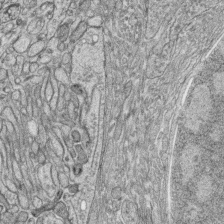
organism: Zebrafish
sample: synaptic ribbons in rod cells and cone cells